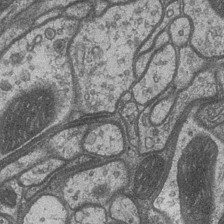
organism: Drosophila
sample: Optic medulla